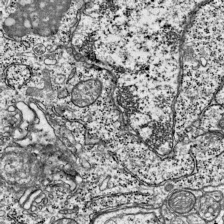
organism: Mouse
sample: Visual Cortex